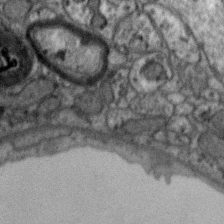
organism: Zebra finch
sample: Brain